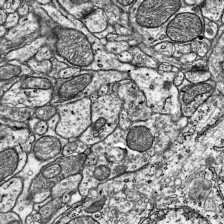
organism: Mouse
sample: Visual Cortex